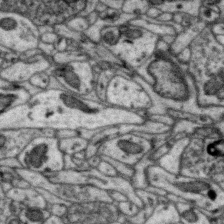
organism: Zebra finch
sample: Brain